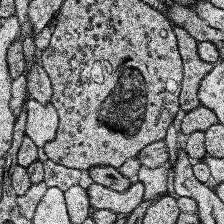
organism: Human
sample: Temporal Lobe